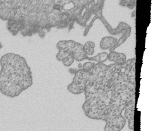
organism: Human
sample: MDA-MB-231 cells